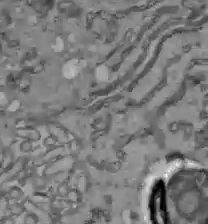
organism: C57BL Mouse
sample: Liver